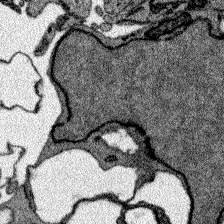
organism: Zebrafish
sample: Larval olfactory bulb